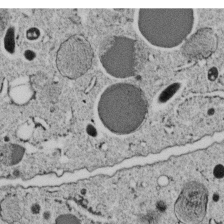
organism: C. elegans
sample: C. elegans embryo early stage